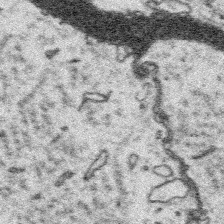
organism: Platynereis dumerilii